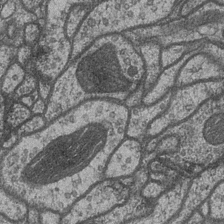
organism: Drosophila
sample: Optic medulla